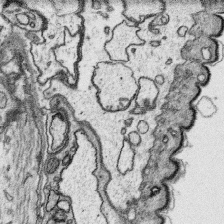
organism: Platynereis dumerilii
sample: Parapodia